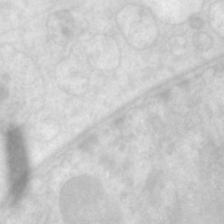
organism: C. elegans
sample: Pharynx